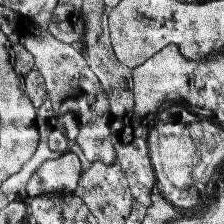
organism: Human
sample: Temporal Lobe